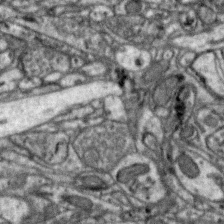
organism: Zebra finch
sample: Brain